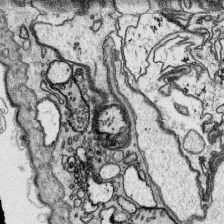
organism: Platynereis dumerilii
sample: Parapodia